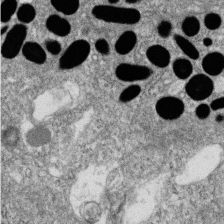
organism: Zebrafish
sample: Cilia; retinal pigment epithelium